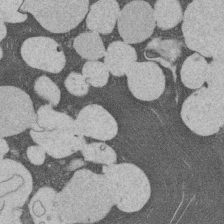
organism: Rat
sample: Salivary granule